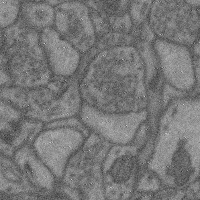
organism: Mouse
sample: Cerebral cortex